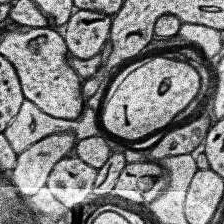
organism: Human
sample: Temporal Lobe